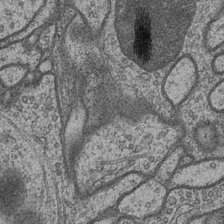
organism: Drosophila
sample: Optic medulla